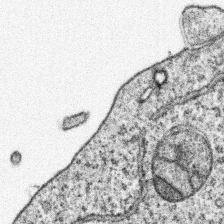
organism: Human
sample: HeLa cells